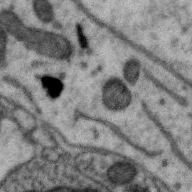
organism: Zebra finch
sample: Brain